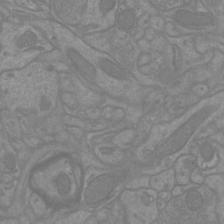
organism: Mouse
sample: Cortical neurons